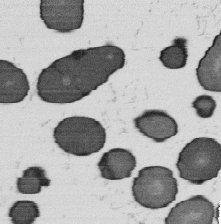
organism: B. subtilis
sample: Bacterial spore